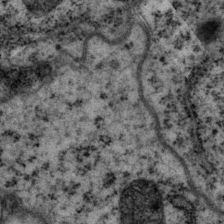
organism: P. pacificus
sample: Pharynx